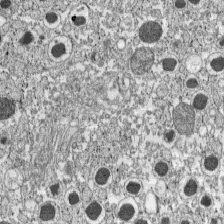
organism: C57BL Mouse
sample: Pancreatic islet